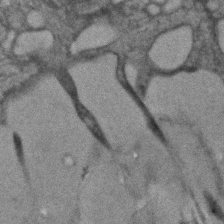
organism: Human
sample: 1205lu cells